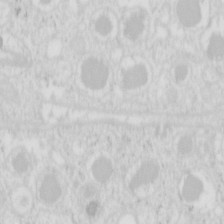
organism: Mouse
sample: Pancreas